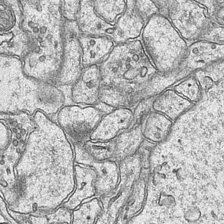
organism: Mouse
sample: CA1 Hippocampus